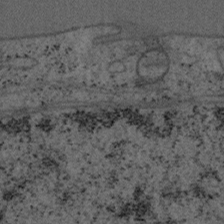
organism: Human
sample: HeLa cells